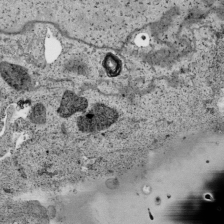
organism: Human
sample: Mitochondria in HCT116 cells